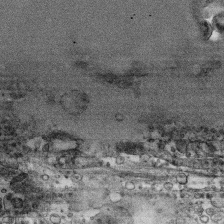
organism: Human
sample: CRL-1474